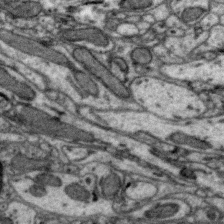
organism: Zebra finch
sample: Brain